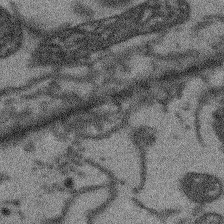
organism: Arabidopsis thaliana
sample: Root tip